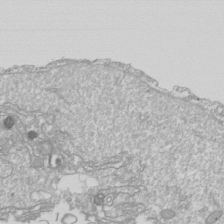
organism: Drosophila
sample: Cell division; meiosis; drosophila spermatocytes